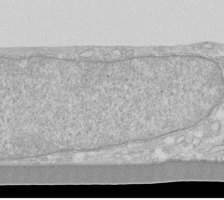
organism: Human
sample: Fibroblast cells